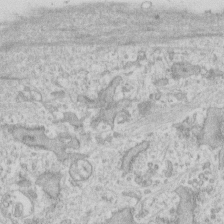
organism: Human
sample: Fibroblast cells